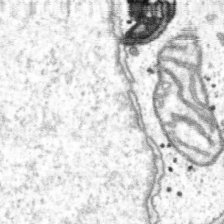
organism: Human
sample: HeLa cells